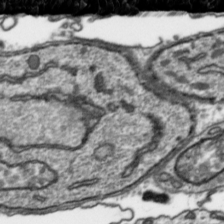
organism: Toxoplasma gondii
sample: Parasites in a vacuole inside a host cell